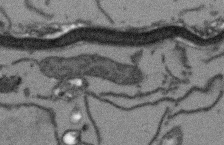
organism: Arabidopsis thaliana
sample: Root tip